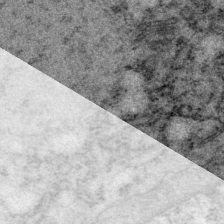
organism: P. pacificus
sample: Pharynx